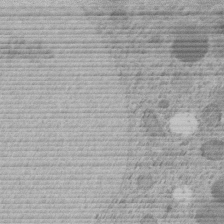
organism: C. elegans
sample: C. elegans embryo early stage